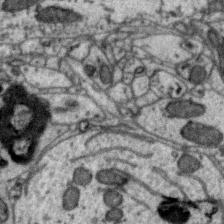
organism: Zebra finch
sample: Brain